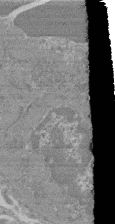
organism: Mouse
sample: Glomerulus